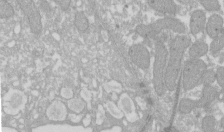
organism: Xenopus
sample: Cilia; centrioles in frog embryo cells